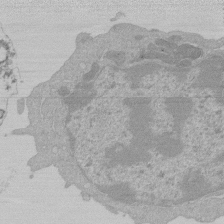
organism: Mouse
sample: Activated Pmel transgenic CD8+ T Cells